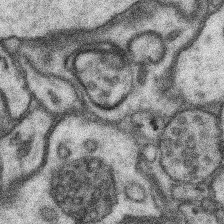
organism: Mouse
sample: Somatosensory cortex neuropil